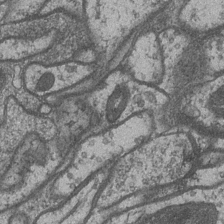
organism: Drosophila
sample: Optic medulla